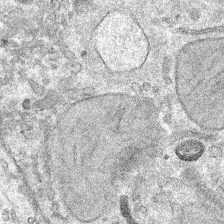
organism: Mouse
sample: Mouse hepatocytes